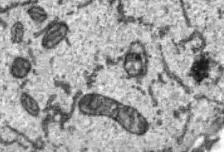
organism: Human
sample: HeLa cells